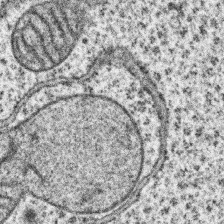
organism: Human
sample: HeLa cells